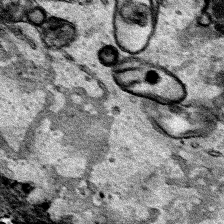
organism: Human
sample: Mitochondria in HCT116 cells